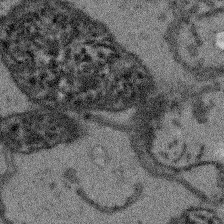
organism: Arabidopsis thaliana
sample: Root tip